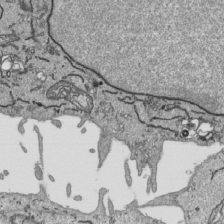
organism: Human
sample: Mitochondria in HCT116 cells